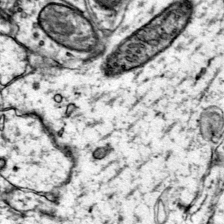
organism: Mouse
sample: Primary visual cortex